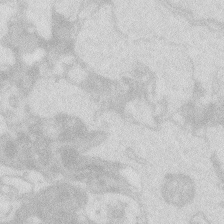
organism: Zebrafish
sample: Macrophage